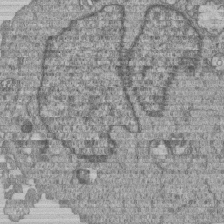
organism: Human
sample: MDA-MB-231 cells